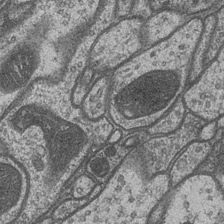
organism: Drosophila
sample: Optic medulla